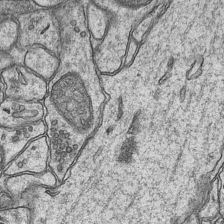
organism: Mouse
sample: CA1 Hippocampus